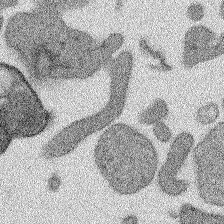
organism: Human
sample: HeLa cells